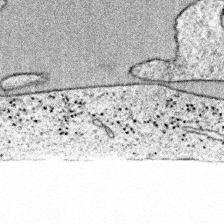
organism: Human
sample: HeLa cells